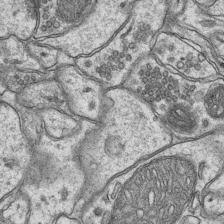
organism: Mouse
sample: CA1 Hippocampus